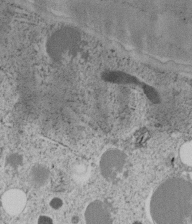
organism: C. elegans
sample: C. elegans embryo early stage